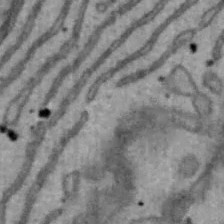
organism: Mouse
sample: Liver